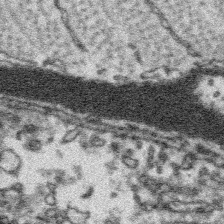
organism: Platynereis dumerilii